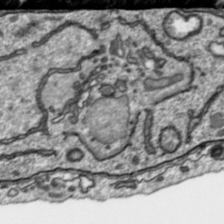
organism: Toxoplasma gondii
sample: Parasites in a vacuole inside a host cell